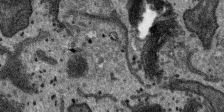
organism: Human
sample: Lung epithelial cells, uninfected (mock) control